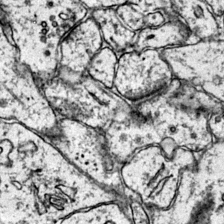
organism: Mouse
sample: Primary visual cortex